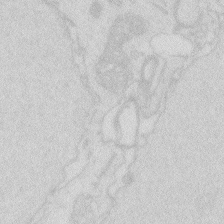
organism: Zebrafish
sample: Macrophage